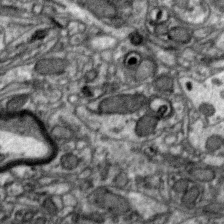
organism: Zebra finch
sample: Brain